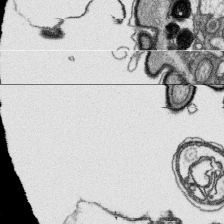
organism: Platynereis dumerilii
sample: Parapodia